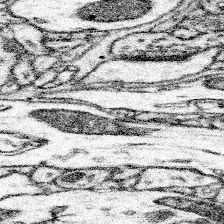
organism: Mouse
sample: Somatosensory cortex neuropil